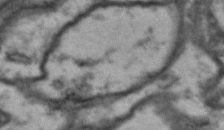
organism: Drosophila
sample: Brain